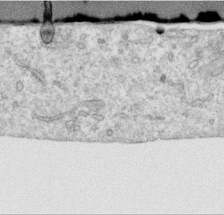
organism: Human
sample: Centriole in RPE cells